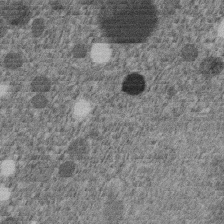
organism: C. elegans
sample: C. elegans embryo early stage